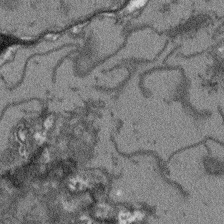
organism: Arabidopsis thaliana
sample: Root tip